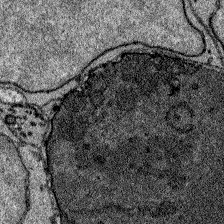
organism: Zebrafish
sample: Larval olfactory bulb